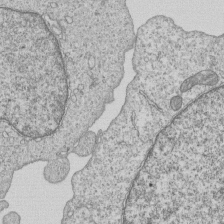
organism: Human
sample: MDA-MB-231 cells